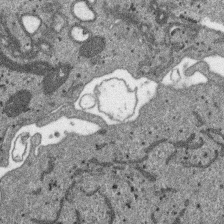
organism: Human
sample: Lung epithelial cells infected with SARS-CoV-2